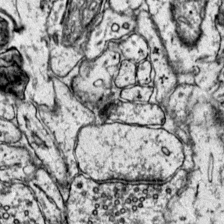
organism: Mouse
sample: Primary visual cortex